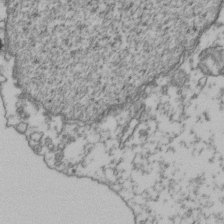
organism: Human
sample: Activated Jurkat CD4+ T cells